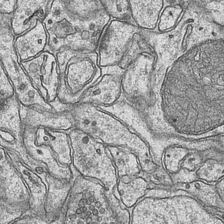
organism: Mouse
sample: CA1 Hippocampus